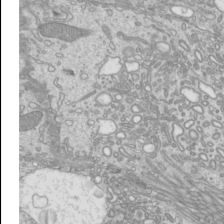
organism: Mouse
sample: Cilia; mouse epididymis